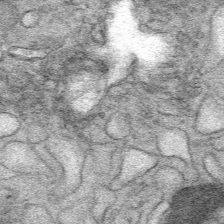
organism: Mouse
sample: Mouse Salivary gland